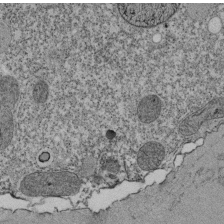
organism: Tetrahymena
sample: Cilia in tetrahymena